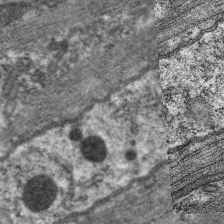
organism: C. elegans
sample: Pharynx